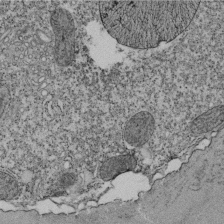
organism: Tetrahymena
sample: Cilia in tetrahymena